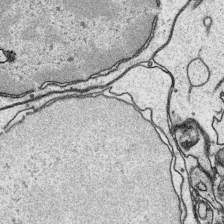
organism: Platynereis dumerilii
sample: Parapodia